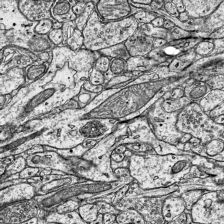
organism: Mouse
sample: Visual Cortex